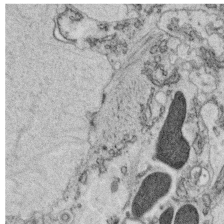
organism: C. elegans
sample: C. elegans oocyte; sperm cells